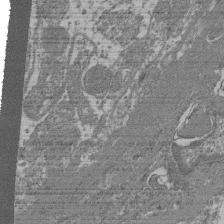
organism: Mouse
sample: Glomerulus